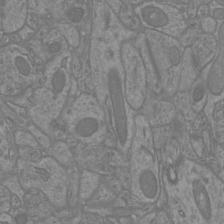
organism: Mouse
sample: Cortical neurons